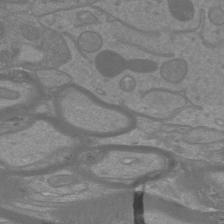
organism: Mouse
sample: Cortical neurons